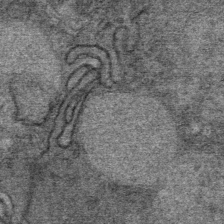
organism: Mouse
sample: Mouse Salivary gland